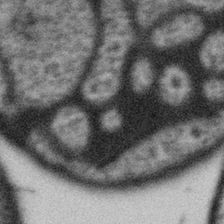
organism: Gemmata obscuriglobus